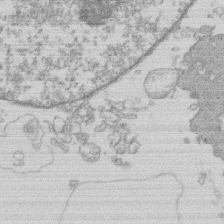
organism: Human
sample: Macrophage cells